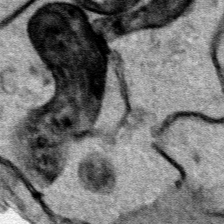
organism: Human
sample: Mitochondria in HCT116 cells